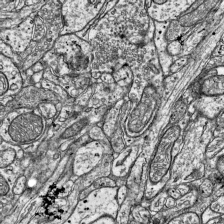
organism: Mouse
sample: Visual Cortex